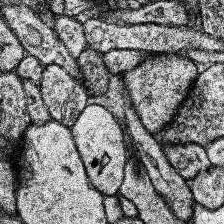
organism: Human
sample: Temporal Lobe